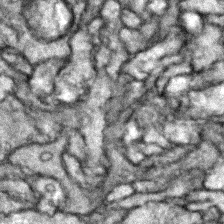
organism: Zebrafish